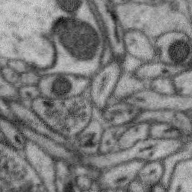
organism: Zebra finch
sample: Brain